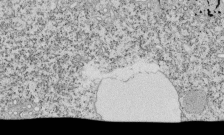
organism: Tetrahymena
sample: Cilia in tetrahymena